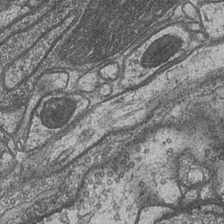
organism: Drosophila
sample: Optic medulla